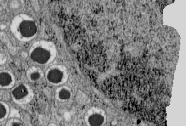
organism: C57BL Mouse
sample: Pancreatic islet